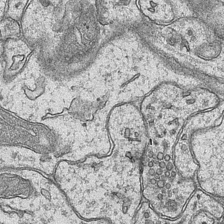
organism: Mouse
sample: CA1 Hippocampus